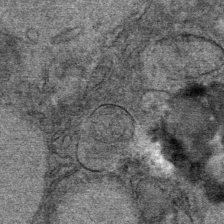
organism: Mouse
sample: Mouse Salivary gland